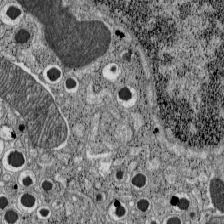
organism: C57BL Mouse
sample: Pancreatic islet